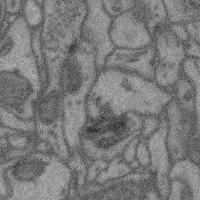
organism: Mouse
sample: Cerebral cortex